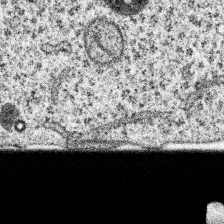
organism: Human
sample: HeLa cells